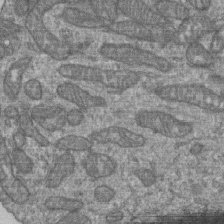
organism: Human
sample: Retinal organoid Rod and Cone cells